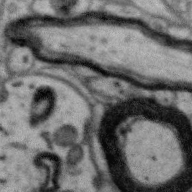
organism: Zebra finch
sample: Brain